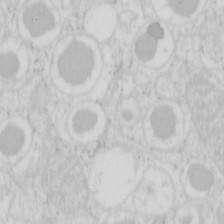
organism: Mouse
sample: Pancreas